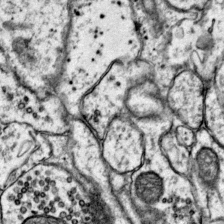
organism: Mouse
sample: Primary visual cortex